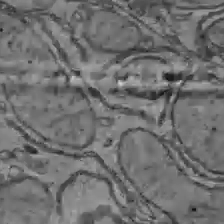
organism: C57BL Mouse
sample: Liver